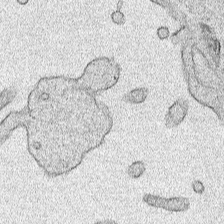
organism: Human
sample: Mitochondria in HCT116 cells